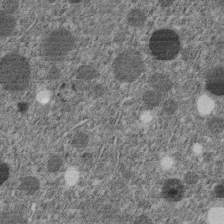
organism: C. elegans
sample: C. elegans embryo early stage